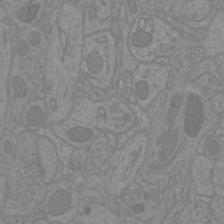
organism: Mouse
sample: Cortical neurons